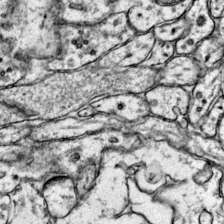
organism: Mouse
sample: Primary visual cortex